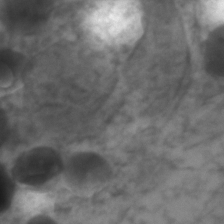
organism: Zebrafish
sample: Zebrafish embryo